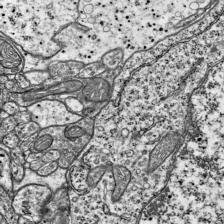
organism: Mouse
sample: Visual Cortex